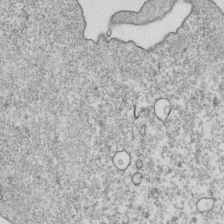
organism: Mouse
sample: Activated OT-1 CD8+ T cells